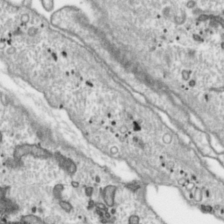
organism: Toxoplasma gondii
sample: Parasites in a vacuole inside a host cell